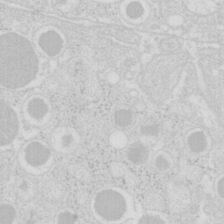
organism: Mouse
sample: Pancreas